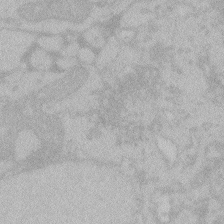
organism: Zebrafish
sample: Macrophage infected with Toxoplasma gondii